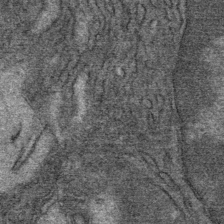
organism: Mouse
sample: Mouse Salivary gland